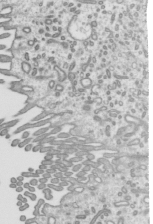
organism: Mouse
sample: Mouse epididymis efferent ductule cilia